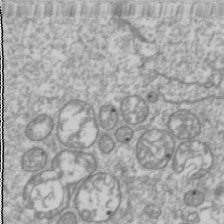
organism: Drosophila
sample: Cell division; meiosis; drosophila spermatocytes